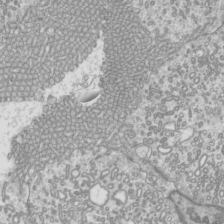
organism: Mouse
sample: Cilia; mouse epididymis